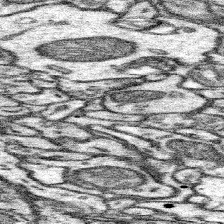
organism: Mouse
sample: Somatosensory cortex neuropil